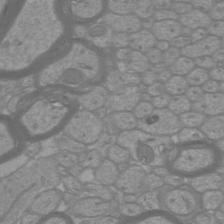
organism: Mouse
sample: Cortical neurons